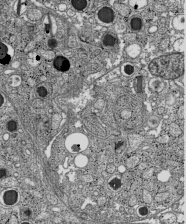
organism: C57BL Mouse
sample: Pancreatic islet